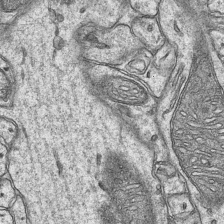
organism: Mouse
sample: CA1 Hippocampus